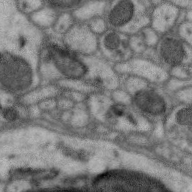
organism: Zebra finch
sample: Brain